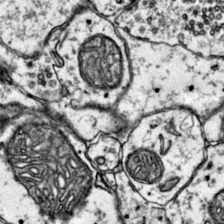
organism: Mouse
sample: Primary visual cortex